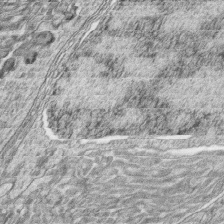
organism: Zebrafish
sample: synaptic ribbons in rod cells and cone cells